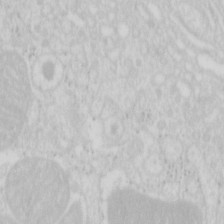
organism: Mouse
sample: Pancreas